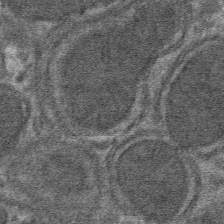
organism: Mouse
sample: Mouse hepatocytes